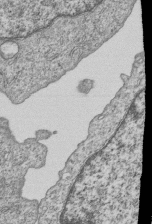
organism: Human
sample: MDA-MB-231 cells